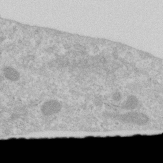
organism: Human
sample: Centriole in RPE cells